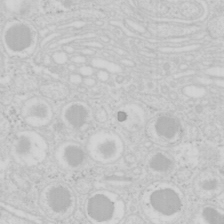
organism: Mouse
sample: Pancreas